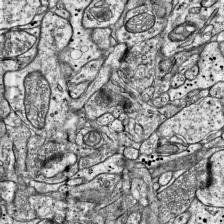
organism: Mouse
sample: Visual Cortex